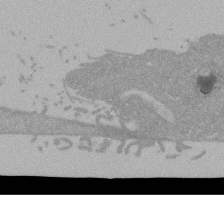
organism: Mouse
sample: ED-1 cell nuclei; centrioles